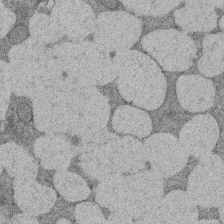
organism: Rat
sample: Salivary granule